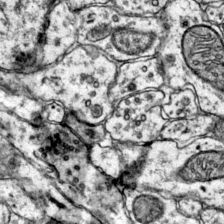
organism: Mouse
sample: Primary visual cortex